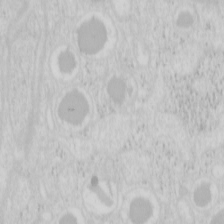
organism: Mouse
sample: Pancreas